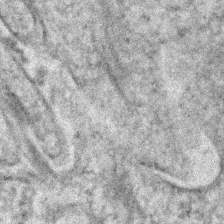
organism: Human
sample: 1205lu cells